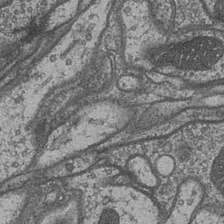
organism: Drosophila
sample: Optic medulla